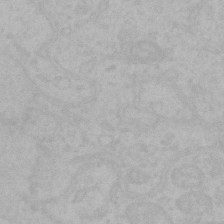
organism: Mouse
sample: Choroid plexus